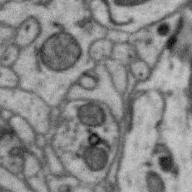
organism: Zebra finch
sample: Brain